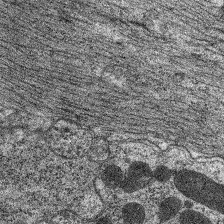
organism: C. elegans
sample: Pharynx